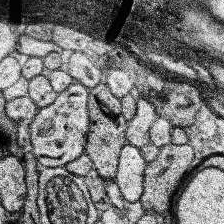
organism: Human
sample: Temporal Lobe